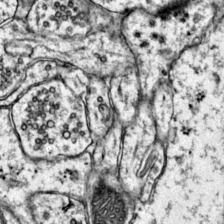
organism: Mouse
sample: Primary visual cortex